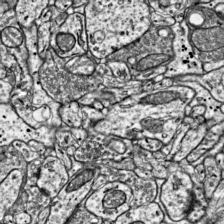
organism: Mouse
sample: Visual Cortex